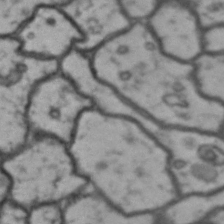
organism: Drosophila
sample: Brain